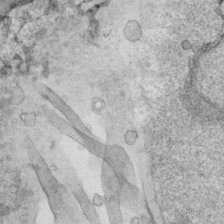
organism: Human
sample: Mitochondria in HCT116 cells